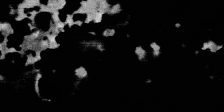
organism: Human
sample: Lung epithelial cells, uninfected (mock) control